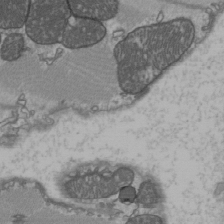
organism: C57BL Mouse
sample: Heart